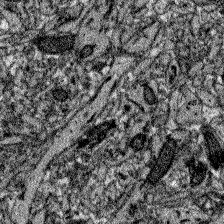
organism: Zebrafish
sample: Larval olfactory bulb